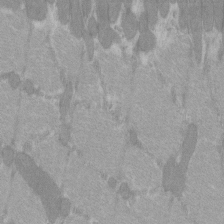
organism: C57BL Mouse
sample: Tibialis anterior muscle cell